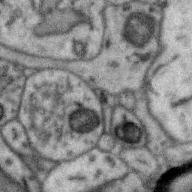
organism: Zebra finch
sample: Brain